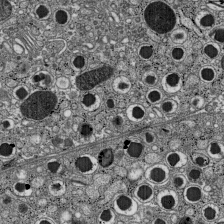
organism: C57BL Mouse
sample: Pancreatic islet